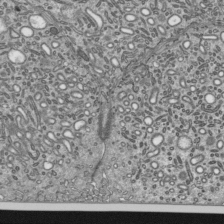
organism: Mouse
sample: Mouse epididymis efferent ductule cilia